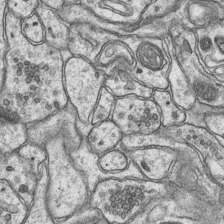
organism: Mouse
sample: CA1 Hippocampus